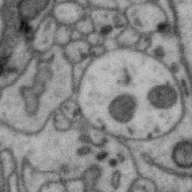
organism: Zebra finch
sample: Brain